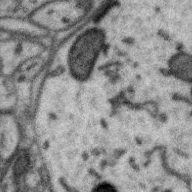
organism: Zebra finch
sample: Brain